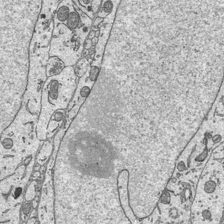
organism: Mouse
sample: Suprachiasmatic nucleus